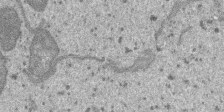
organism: Human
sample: Lung epithelial cells infected with SARS-CoV-2